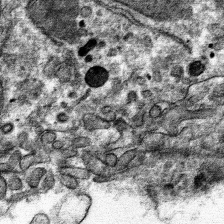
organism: Mouse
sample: Mouse hepatocytes